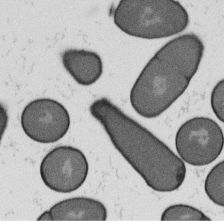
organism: B. subtilis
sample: Bacterial spore